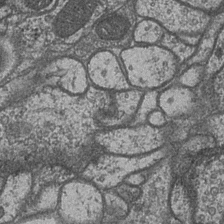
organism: Drosophila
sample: Optic medulla